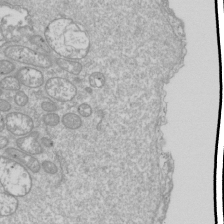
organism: Drosophila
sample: Cell division; meiosis; drosophila spermatocytes